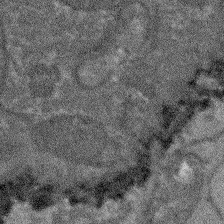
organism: Arabidopsis thaliana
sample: Root tip